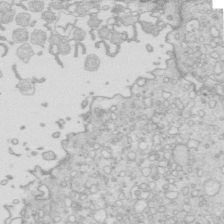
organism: Mouse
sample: Multiciliated cells